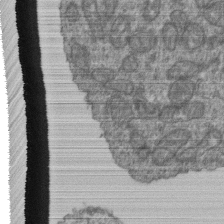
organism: Human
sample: Retinal organoid Rod and Cone cells